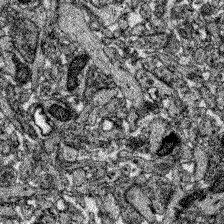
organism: Zebrafish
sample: Larval olfactory bulb